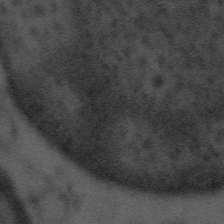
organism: Tuwongella immobilis